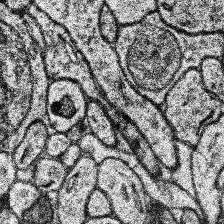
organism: Human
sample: Temporal Lobe